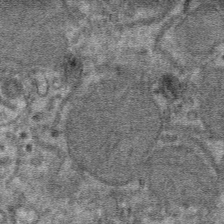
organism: Mouse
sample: Mouse hepatocytes